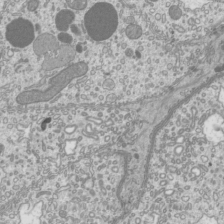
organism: Mouse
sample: Cilia; mouse epididymis